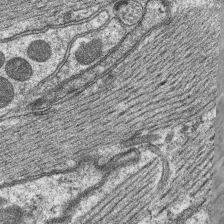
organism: C. elegans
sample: Pharynx